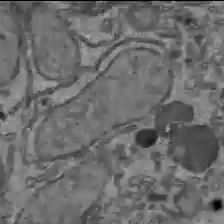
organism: C57BL Mouse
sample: Liver